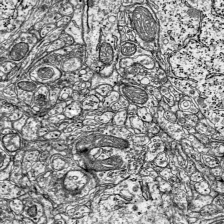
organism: Mouse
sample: Visual Cortex